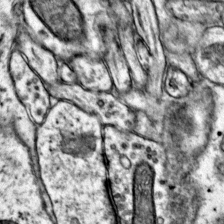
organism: Mouse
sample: Primary visual cortex